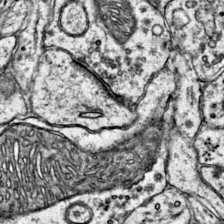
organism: Mouse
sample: Primary visual cortex